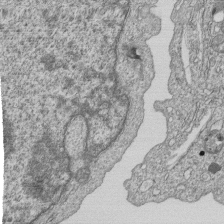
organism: Human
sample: MDA-MB-231 cells